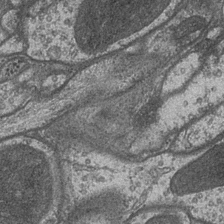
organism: Drosophila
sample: Optic medulla